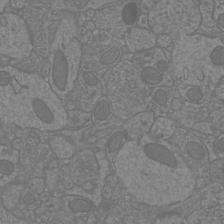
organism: Mouse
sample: Cortical neurons